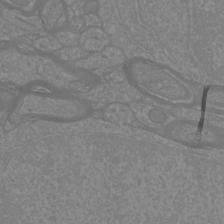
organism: Mouse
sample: Cortical neurons